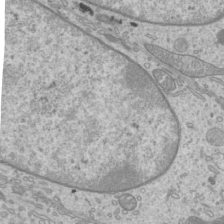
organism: Mouse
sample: Cilia; mouse epididymis